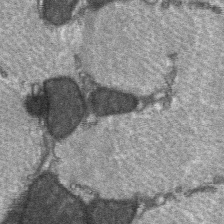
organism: C57BL Mouse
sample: Soleus